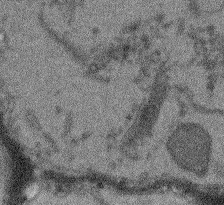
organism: Arabidopsis thaliana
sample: Root tip